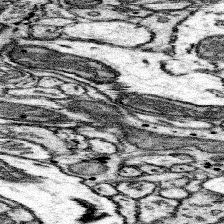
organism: Mouse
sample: Somatosensory cortex neuropil